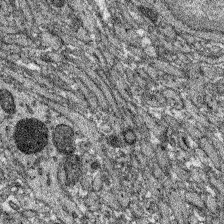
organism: Zebrafish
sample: Larval olfactory bulb